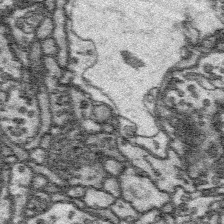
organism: Platynereis dumerilii